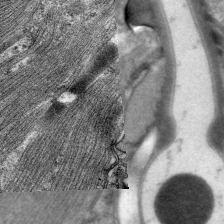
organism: C. elegans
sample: Pharynx